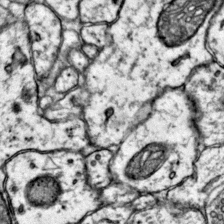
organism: Mouse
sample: Primary visual cortex